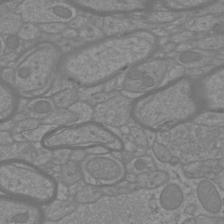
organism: Mouse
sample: Cortical neurons